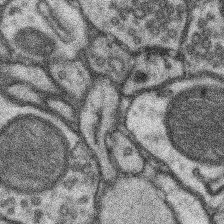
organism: Mouse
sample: Somatosensory cortex neuropil